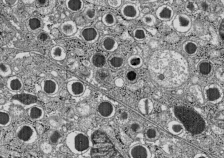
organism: C57BL Mouse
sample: Pancreatic islet